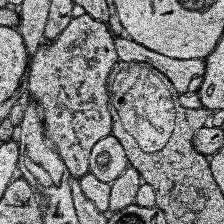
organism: Human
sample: Temporal Lobe